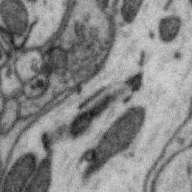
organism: Zebra finch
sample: Brain